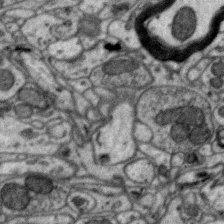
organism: Zebra finch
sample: Brain